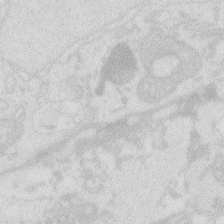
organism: Zebrafish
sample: Macrophage